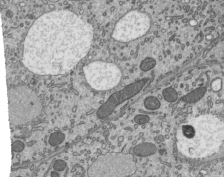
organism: Mouse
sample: Mouse epididymis efferent ductule cilia